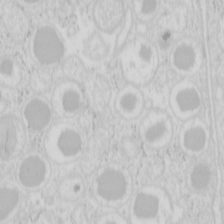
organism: Mouse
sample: Pancreas